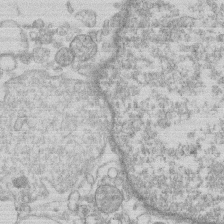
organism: Human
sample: Macrophage cells